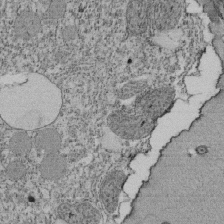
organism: Tetrahymena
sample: Cilia in tetrahymena